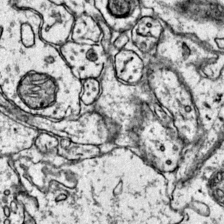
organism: Mouse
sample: Primary visual cortex